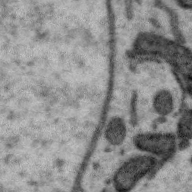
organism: Zebra finch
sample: Brain